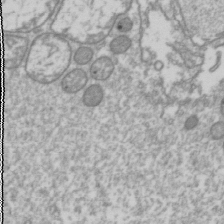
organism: Drosophila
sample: Cell division; meiosis; drosophila spermatocytes